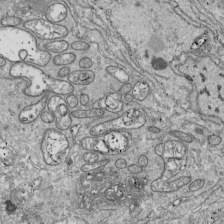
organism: Drosophila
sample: Cell division; meiosis; drosophila spermatocytes